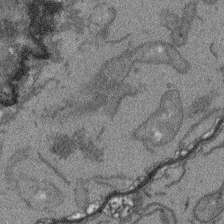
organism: Arabidopsis thaliana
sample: Root tip